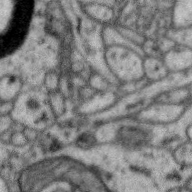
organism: Zebra finch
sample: Brain